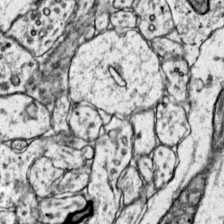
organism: Mouse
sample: Primary visual cortex